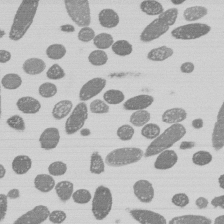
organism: E. coli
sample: Bacterial nucleoid